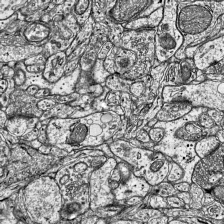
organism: Mouse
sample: Visual Cortex